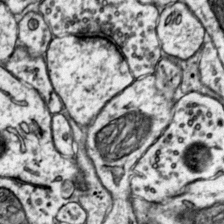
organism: Mouse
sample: Primary visual cortex